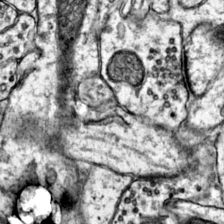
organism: Mouse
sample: Primary visual cortex